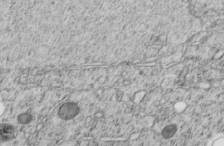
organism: C. elegans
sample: C. elegans embryo early stage